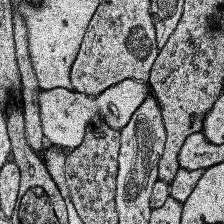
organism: Human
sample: Temporal Lobe